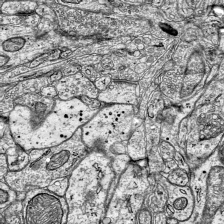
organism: Mouse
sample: Visual Cortex